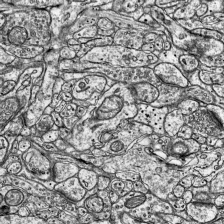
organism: Mouse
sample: Visual Cortex